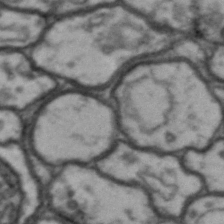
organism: Drosophila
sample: Brain